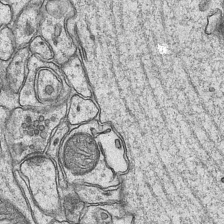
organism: Mouse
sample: CA1 Hippocampus